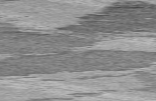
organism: C57BL Mouse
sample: Heart